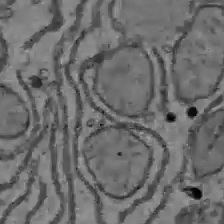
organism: C57BL Mouse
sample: Liver